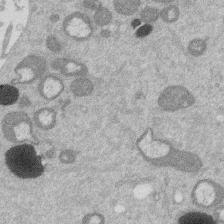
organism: Mouse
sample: Dividing mouse embryo 1 cell stage